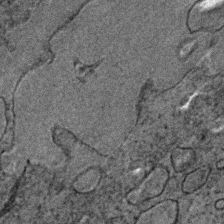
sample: Trachea